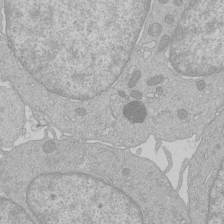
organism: Human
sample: Macrophage cells